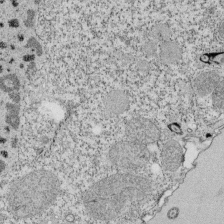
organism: Tetrahymena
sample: Cilia in tetrahymena